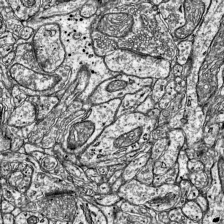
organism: Mouse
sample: Visual Cortex